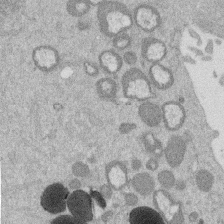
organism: Mouse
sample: Dividing mouse embryo 1 cell stage